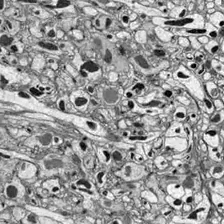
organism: Drosophila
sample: Optic lobe